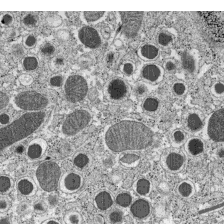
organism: C57BL Mouse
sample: Pancreatic islet